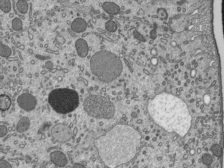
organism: Mouse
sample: Mouse epididymis efferent ductule cilia